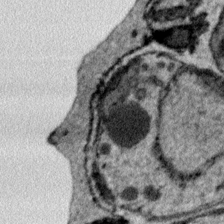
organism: Plasmodium falciparum